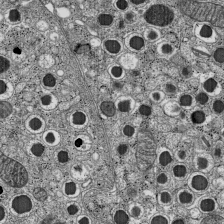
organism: C57BL Mouse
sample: Pancreatic islet